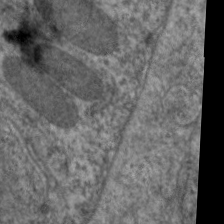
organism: C. elegans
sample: Pharynx